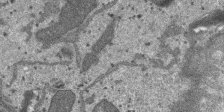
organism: Human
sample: Lung epithelial cells infected with SARS-CoV-2